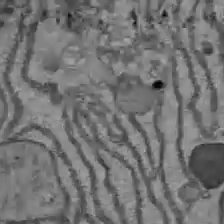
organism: C57BL Mouse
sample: Liver